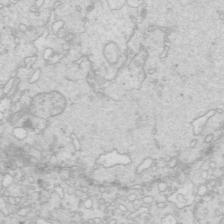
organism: Mouse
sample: Multiciliated cells